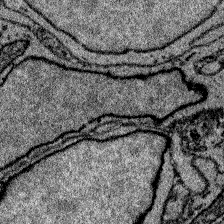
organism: Zebrafish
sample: Larval olfactory bulb